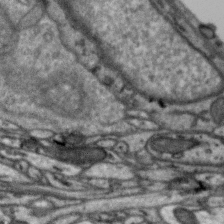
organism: Zebra finch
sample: Brain